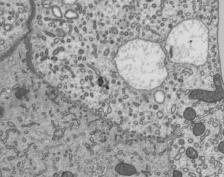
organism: Mouse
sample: Mouse epididymis efferent ductule cilia